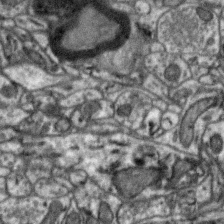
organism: Zebra finch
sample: Brain